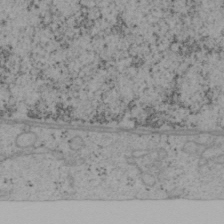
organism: Human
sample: HeLa cells